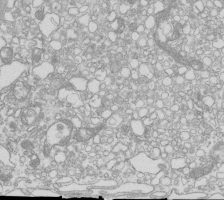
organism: Mouse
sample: Macrophages